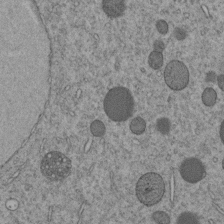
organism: C. elegans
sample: C. elegans embryo early stage